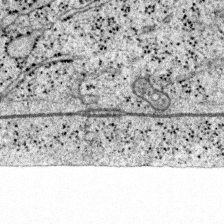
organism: Human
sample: HeLa cells